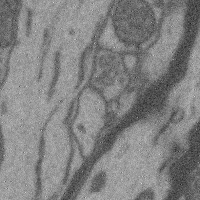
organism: Mouse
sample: Cerebral cortex